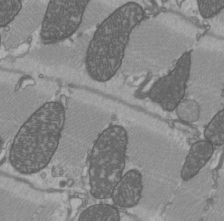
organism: C57BL Mouse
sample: Heart